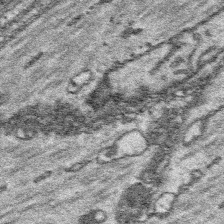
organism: Platynereis dumerilii